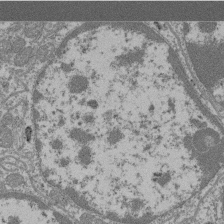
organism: Mouse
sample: Glomerulus